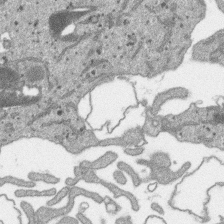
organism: Human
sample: Lung epithelial cells infected with SARS-CoV-2